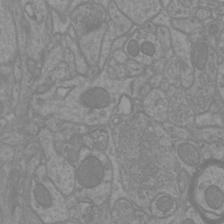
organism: Mouse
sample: Cortical neurons